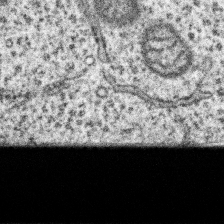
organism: Human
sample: HeLa cells